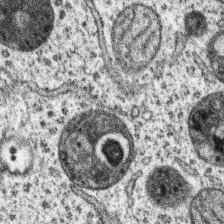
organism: Human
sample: HeLa cells